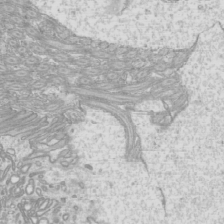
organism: Mouse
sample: Cilia; mouse epididymis